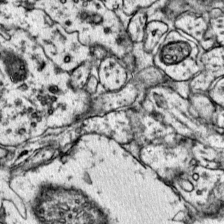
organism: Mouse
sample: Primary visual cortex